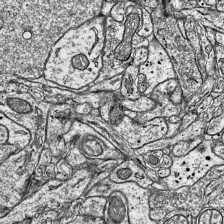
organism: Mouse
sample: Visual Cortex